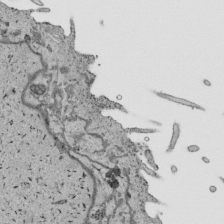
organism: Human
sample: Mitochondria in HCT116 cells